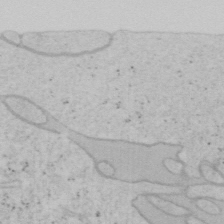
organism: Human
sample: HeLa cells